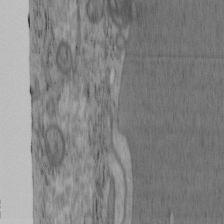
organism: Human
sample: HeLa cells